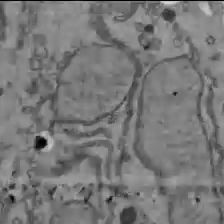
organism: C57BL Mouse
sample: Liver